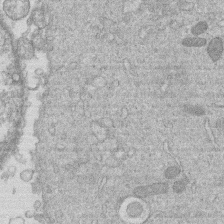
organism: Human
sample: Macrophage cells